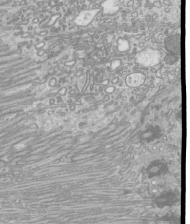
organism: Mouse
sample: Cilia; mouse epididymis